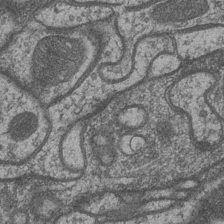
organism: Drosophila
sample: Optic medulla